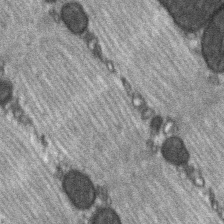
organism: C57BL Mouse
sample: Soleus